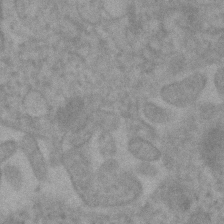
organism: Human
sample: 1205lu cells